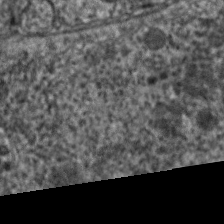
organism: C. elegans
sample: Pharynx